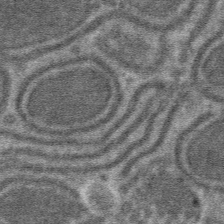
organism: Mouse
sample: Mouse hepatocytes